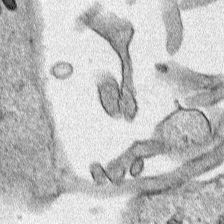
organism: Human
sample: Mitochondria in HCT116 cells